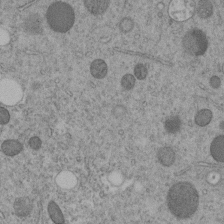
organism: C. elegans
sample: C. elegans embryo early stage